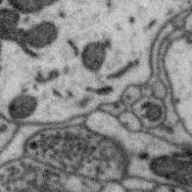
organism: Zebra finch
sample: Brain